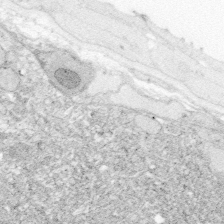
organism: Zebrafish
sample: Whole-Brain